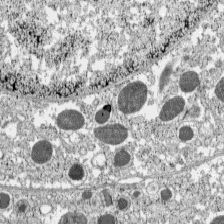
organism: C57BL Mouse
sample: Pancreatic islet